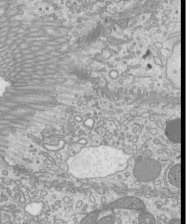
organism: Mouse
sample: Cilia; mouse epididymis